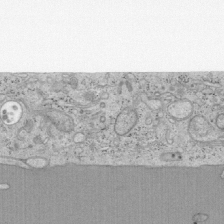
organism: Human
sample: HeLa cells